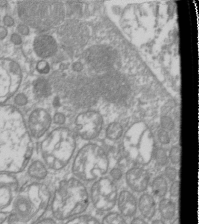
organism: Drosophila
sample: Cell division; meiosis; drosophila spermatocytes